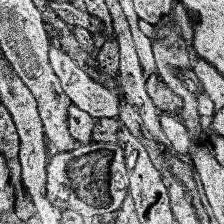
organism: Human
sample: Temporal Lobe